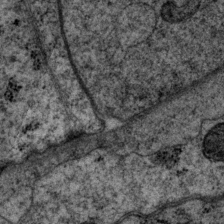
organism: P. pacificus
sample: Pharynx